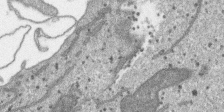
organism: Human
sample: Lung epithelial cells infected with SARS-CoV-2